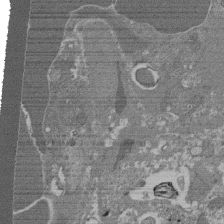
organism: Mouse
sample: Glomerulus